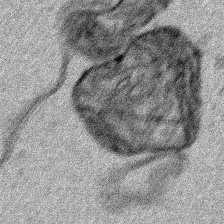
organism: Human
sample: Mitochondria in HCT116 cells